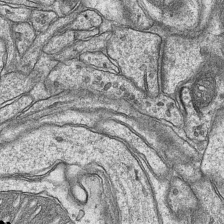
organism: Mouse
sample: CA1 Hippocampus